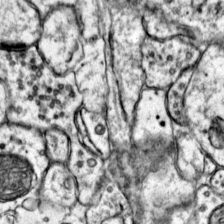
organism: Mouse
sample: Primary visual cortex